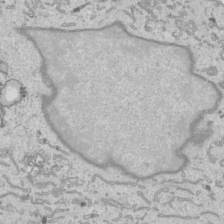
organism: Human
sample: Mitochondria in HCT116 cells